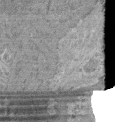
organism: Mouse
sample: Glomerulus